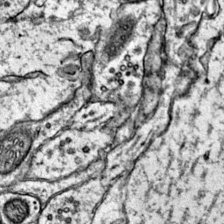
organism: Mouse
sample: Primary visual cortex